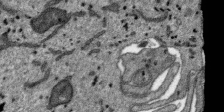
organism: Human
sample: Lung epithelial cells, uninfected (mock) control